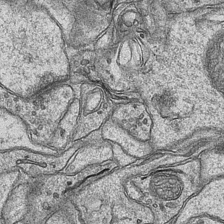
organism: Mouse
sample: CA1 Hippocampus